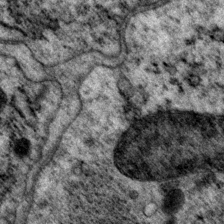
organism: P. pacificus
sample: Pharynx